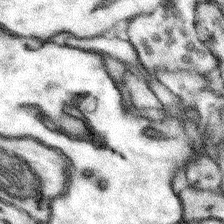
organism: Mouse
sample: Somatosensory cortex neuropil